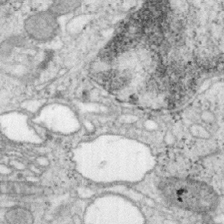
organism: Mouse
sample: OT-I killer T cells with ID8 ovarian cancer cells